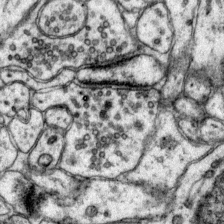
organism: Mouse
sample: Primary visual cortex